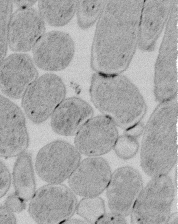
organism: E. coli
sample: Bacterial nucleoid